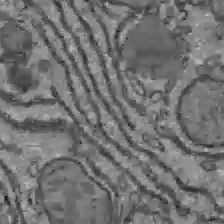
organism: C57BL Mouse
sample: Liver